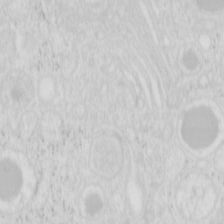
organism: Mouse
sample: Pancreas